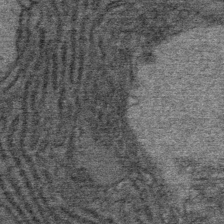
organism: Mouse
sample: Mouse Salivary gland